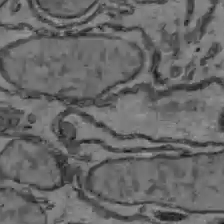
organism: C57BL Mouse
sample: Liver